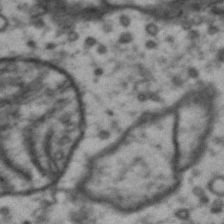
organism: Drosophila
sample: Brain